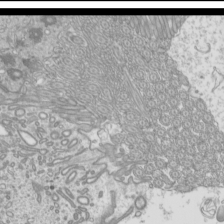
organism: Mouse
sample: Cilia; mouse epididymis